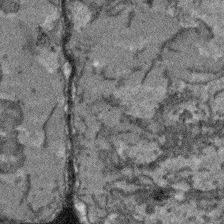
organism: Arabidopsis thaliana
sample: Root tip